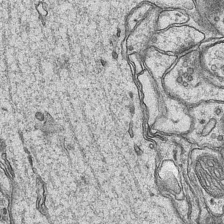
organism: Mouse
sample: CA1 Hippocampus